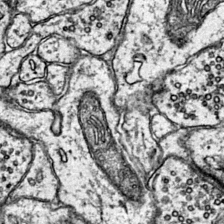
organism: Mouse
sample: Primary visual cortex